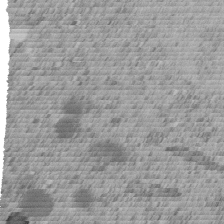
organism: C. elegans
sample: C. elegans embryo early stage